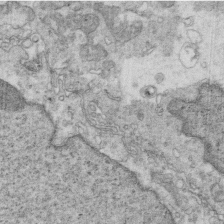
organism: Mouse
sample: Multiciliated cells